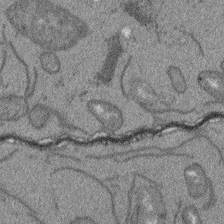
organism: Arabidopsis thaliana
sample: Root tip